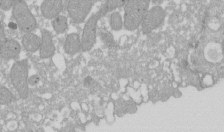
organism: Xenopus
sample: Cilia; centrioles in frog embryo cells